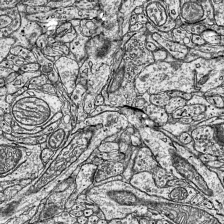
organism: Mouse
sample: Visual Cortex